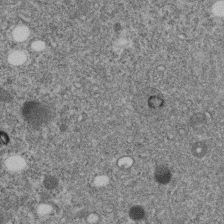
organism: C. elegans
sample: C. elegans embryo early stage